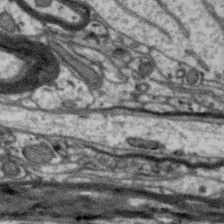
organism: Zebra finch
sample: Brain